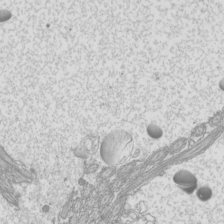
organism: Mouse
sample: Cilia; mouse epididymis